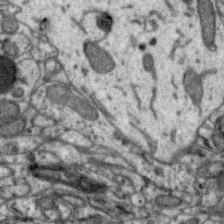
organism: Zebra finch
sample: Brain